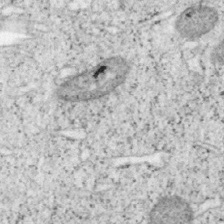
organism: Mouse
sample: OT-I killer T cells with ID8 ovarian cancer cells